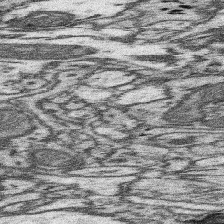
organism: Mouse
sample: Somatosensory cortex neuropil